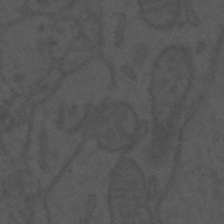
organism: Mouse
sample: Suprachiasmatic nucleus